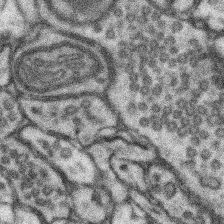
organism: Mouse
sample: Somatosensory cortex neuropil